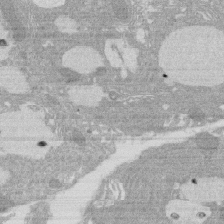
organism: Rat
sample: Salivary granule